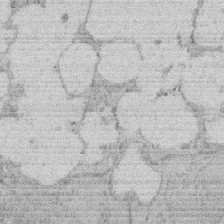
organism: Rat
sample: Salivary granule